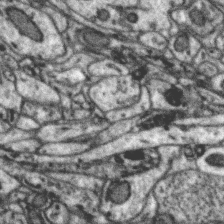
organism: Zebra finch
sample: Brain